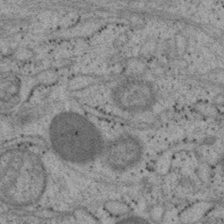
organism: Human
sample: HeLa cells